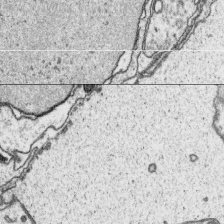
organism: Platynereis dumerilii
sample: Parapodia